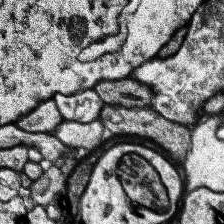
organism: Human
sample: Temporal Lobe